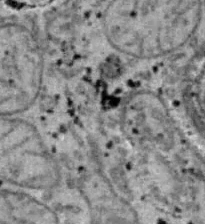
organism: Mouse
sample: Liver from an obese (ob/ob) mouse